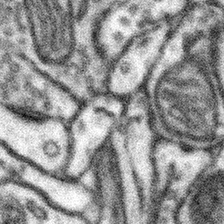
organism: Mouse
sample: Somatosensory cortex neuropil